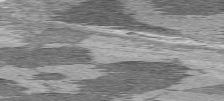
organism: C57BL Mouse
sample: Heart